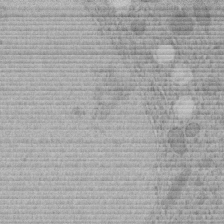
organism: C. elegans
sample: C. elegans embryo early stage